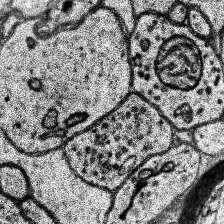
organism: Human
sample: Temporal Lobe